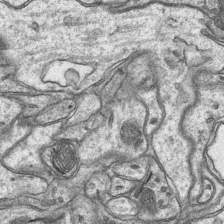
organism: Mouse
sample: CA1 Hippocampus